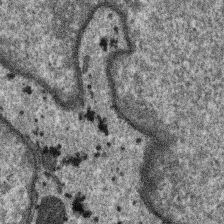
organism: Human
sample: Lung epithelial cells infected with SARS-CoV-2